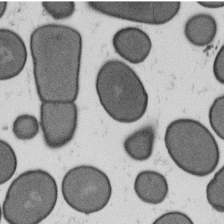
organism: B. subtilis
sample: Bacterial spore